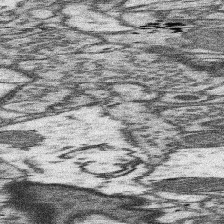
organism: Mouse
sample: Somatosensory cortex neuropil